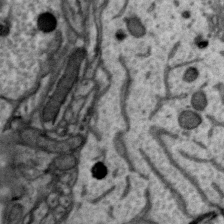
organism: Zebra finch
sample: Brain